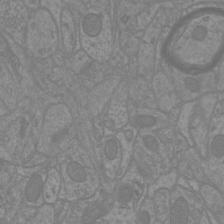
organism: Mouse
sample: Cortical neurons